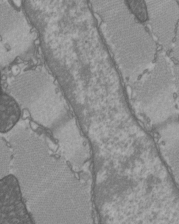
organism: C57BL Mouse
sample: Heart